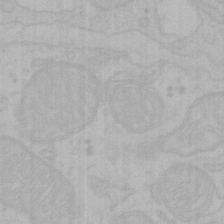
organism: Mouse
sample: Choroid plexus